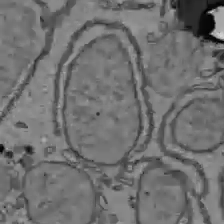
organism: C57BL Mouse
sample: Liver